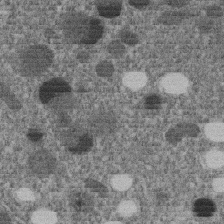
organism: C. elegans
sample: C. elegans embryo early stage